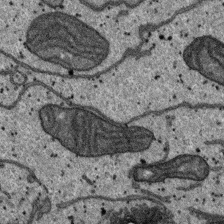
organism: Human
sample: Lung epithelial cells, uninfected (mock) control